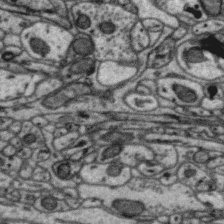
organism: Zebra finch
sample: Brain